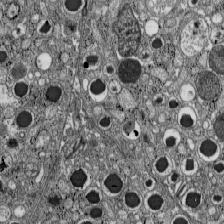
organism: C57BL Mouse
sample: Pancreatic islet